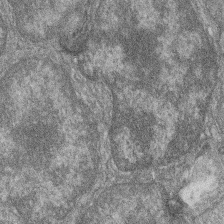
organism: Zebrafish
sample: Cilia; retinal pigment epithelium